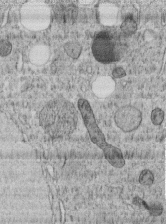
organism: C. elegans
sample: C. elegans embryo early stage